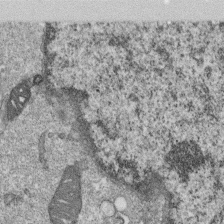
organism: African green monkey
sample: Vero E6 cells infected with SARS-CoV-2